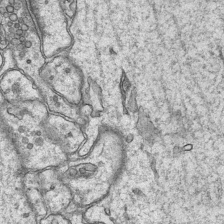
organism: Mouse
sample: CA1 Hippocampus